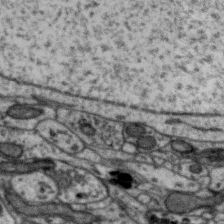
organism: Zebra finch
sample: Brain